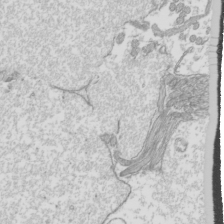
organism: Mouse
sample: Cilia; mouse epididymis